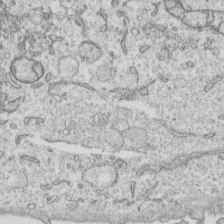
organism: Human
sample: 1205lu cells